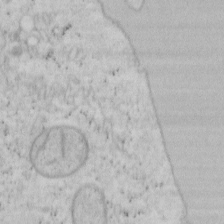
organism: Human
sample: HeLa cells